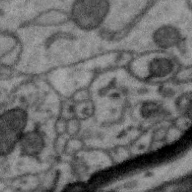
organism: Zebra finch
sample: Brain